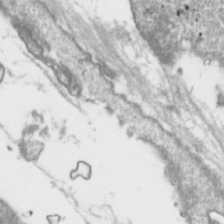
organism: Toxoplasma gondii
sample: Parasites in a vacuole inside a host cell